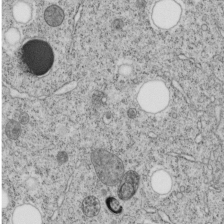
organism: C. elegans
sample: C. elegans embryo early stage